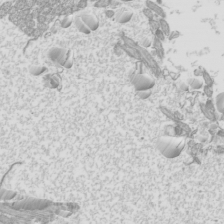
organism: Mouse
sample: Cilia; mouse epididymis